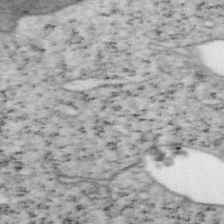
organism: Mouse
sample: OT-I killer T cells with ID8 ovarian cancer cells